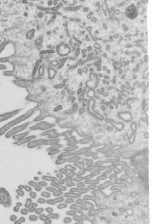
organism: Mouse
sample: Mouse epididymis efferent ductule cilia